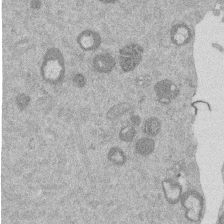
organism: Mouse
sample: Dividing mouse embryo 1 cell stage